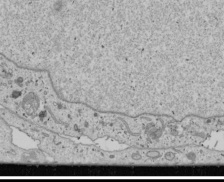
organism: Human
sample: Mitochondria in U2OS cells